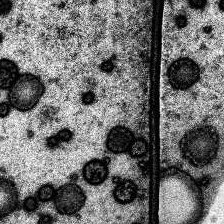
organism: Human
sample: Temporal Lobe